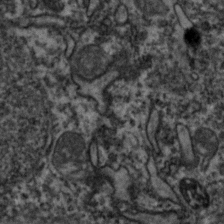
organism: Zebrafish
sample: Zebrafish embryo